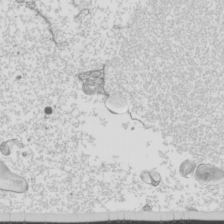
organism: Mouse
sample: Cilia; mouse epididymis